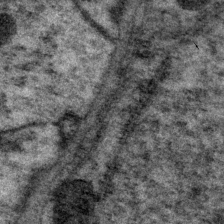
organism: P. pacificus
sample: Pharynx